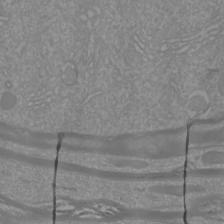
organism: Mouse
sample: Cortical neurons